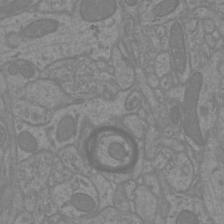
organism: Mouse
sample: Cortical neurons